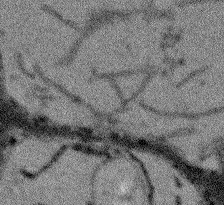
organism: Arabidopsis thaliana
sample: Root tip